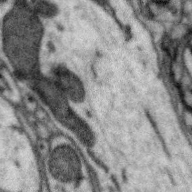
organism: Zebra finch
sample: Brain